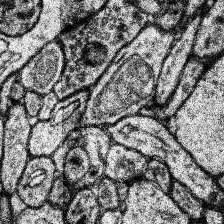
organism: Human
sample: Temporal Lobe